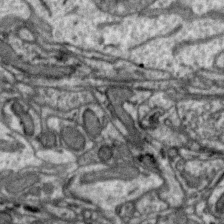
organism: Zebra finch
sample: Brain